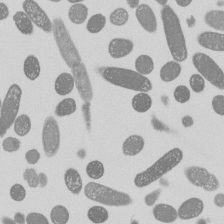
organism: E. coli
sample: Bacterial nucleoid